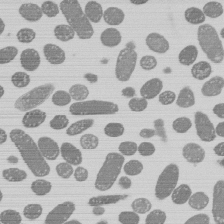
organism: E. coli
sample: Bacterial nucleoid